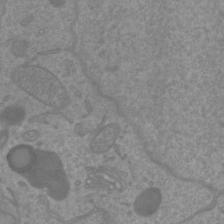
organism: Mouse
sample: Cortical neurons